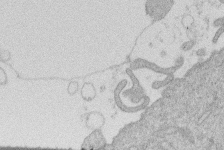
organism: Human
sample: Macrophage cells